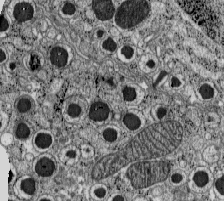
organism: C57BL Mouse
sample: Pancreatic islet